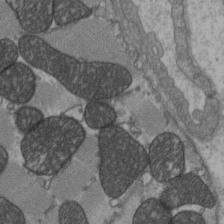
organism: C57BL Mouse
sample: Heart